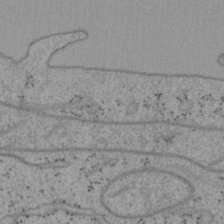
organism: Human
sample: HeLa cells